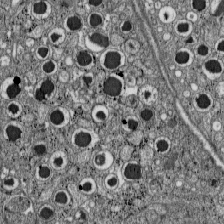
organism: C57BL Mouse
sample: Pancreatic islet